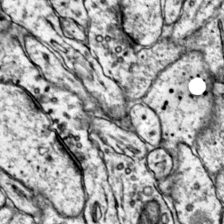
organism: Mouse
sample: Primary visual cortex